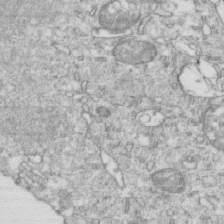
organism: Mouse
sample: Activated OT-1 CD8+ T cells